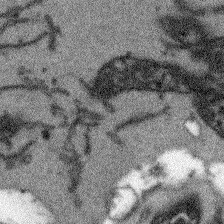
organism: Arabidopsis thaliana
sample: Root tip